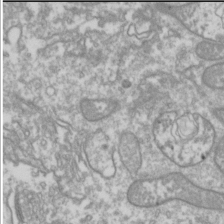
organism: Drosophila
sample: Cell division; meiosis; drosophila spermatocytes